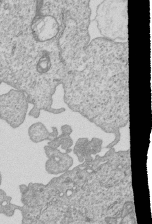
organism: Human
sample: MDA-MB-231 cells